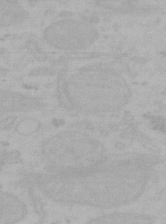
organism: Mouse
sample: Choroid plexus